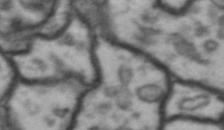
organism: Drosophila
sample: Brain